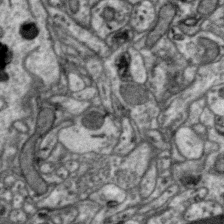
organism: Zebra finch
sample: Brain